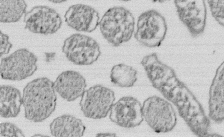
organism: E. coli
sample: Bacterial nucleoid